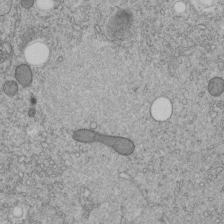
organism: C. elegans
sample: C. elegans embryo early stage